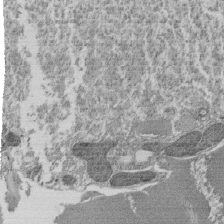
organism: Tetrahymena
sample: Cilia in tetrahymena